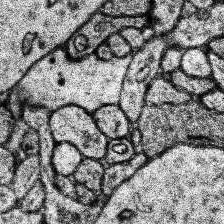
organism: Human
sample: Temporal Lobe